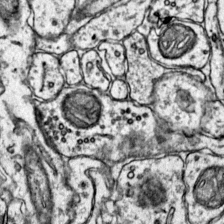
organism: Mouse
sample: Primary visual cortex